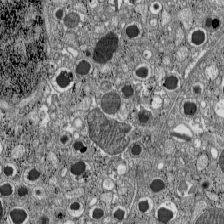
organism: C57BL Mouse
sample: Pancreatic islet